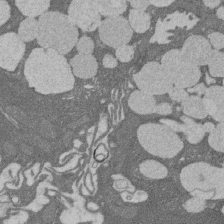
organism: Rat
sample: Salivary granule